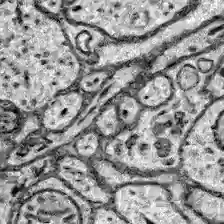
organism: Zebrafish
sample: Brain